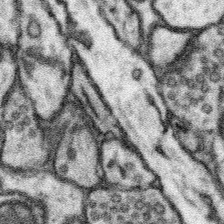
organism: Mouse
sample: Somatosensory cortex neuropil